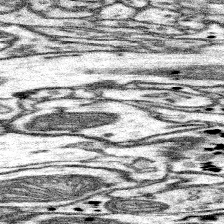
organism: Mouse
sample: Somatosensory cortex neuropil